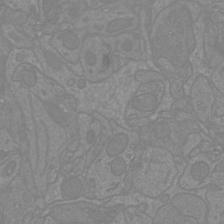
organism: Mouse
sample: Cortical neurons